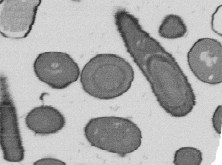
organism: B. subtilis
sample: Bacterial spore